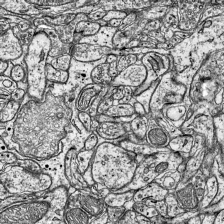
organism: Mouse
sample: Visual Cortex